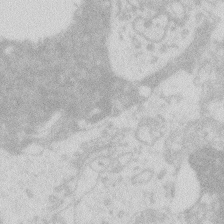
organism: Zebrafish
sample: Macrophage